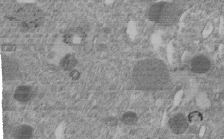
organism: C. elegans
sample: C. elegans embryo early stage